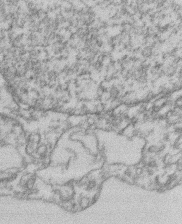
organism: Mouse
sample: T cell stromal cell synapse